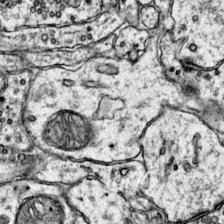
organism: Mouse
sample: Primary visual cortex